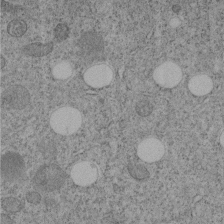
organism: C. elegans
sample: C. elegans embryo early stage